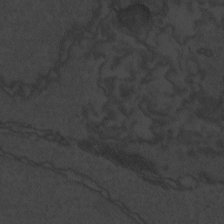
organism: Zebrafish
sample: Macrophage infected with Toxoplasma gondii